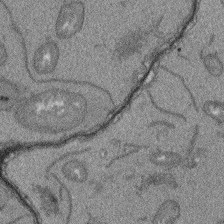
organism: Arabidopsis thaliana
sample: Root tip